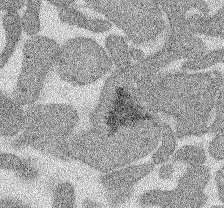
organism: Human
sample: HeLa cells